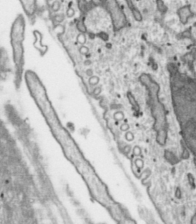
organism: Toxoplasma gondii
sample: Parasites in a vacuole inside a host cell